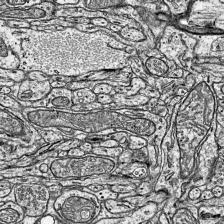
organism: Mouse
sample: Visual Cortex